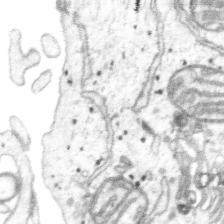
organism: Human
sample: HeLa cells